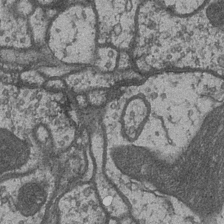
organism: Drosophila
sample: Optic medulla